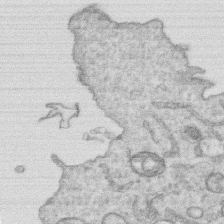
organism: Human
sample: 1205lu cells